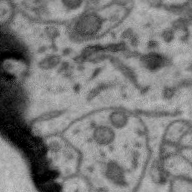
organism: Zebra finch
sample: Brain